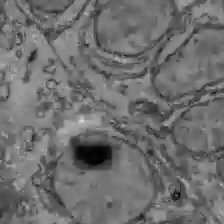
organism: C57BL Mouse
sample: Liver